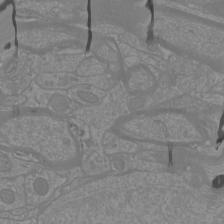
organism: Mouse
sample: Cortical neurons